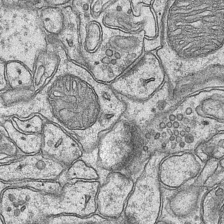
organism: Mouse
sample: CA1 Hippocampus